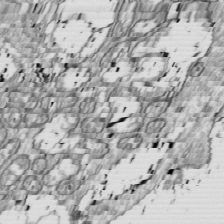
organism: Drosophila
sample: Cell division; meiosis; drosophila spermatocytes